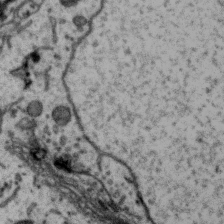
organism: Zebra finch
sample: Brain